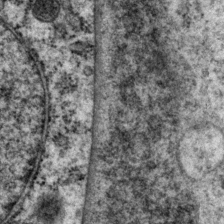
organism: P. pacificus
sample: Pharynx